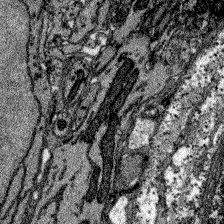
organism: Zebrafish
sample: Larval olfactory bulb